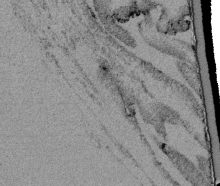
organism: Tetrahymena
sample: Cilia in tetrahymena